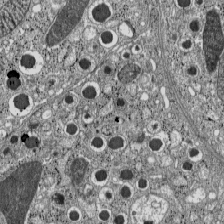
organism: C57BL Mouse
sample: Pancreatic islet